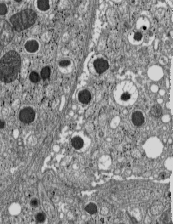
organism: C57BL Mouse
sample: Pancreatic islet